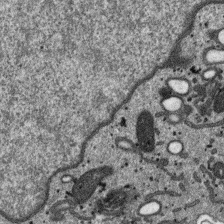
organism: Human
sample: Lung epithelial cells infected with SARS-CoV-2